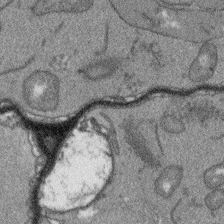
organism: Arabidopsis thaliana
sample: Root tip